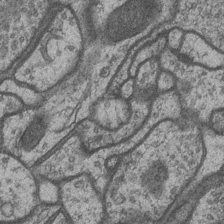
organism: Drosophila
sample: Optic medulla